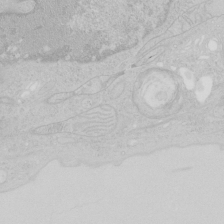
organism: Human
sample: Mitochondria in HCT116 cells